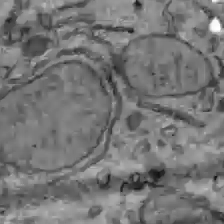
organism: C57BL Mouse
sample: Liver